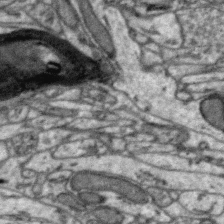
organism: Zebra finch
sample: Brain